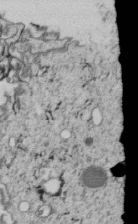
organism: C. elegans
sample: C. elegans embryo early stage